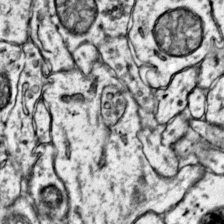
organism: Mouse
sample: Primary visual cortex